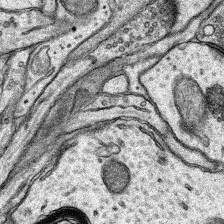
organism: Rat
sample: Hippocampus